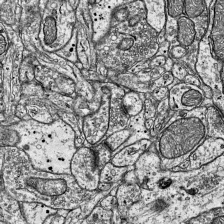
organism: Mouse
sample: Visual Cortex